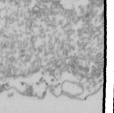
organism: Drosophila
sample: Cell division; meiosis; drosophila spermatocytes